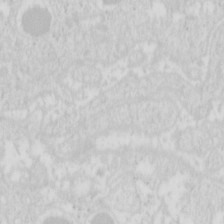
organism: Mouse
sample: Pancreas